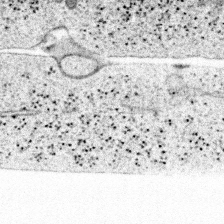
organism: Human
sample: HeLa cells